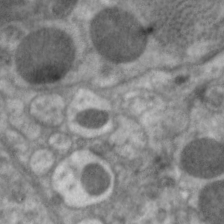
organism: C. elegans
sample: Pharynx